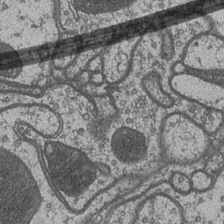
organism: Drosophila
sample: Optic medulla